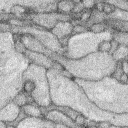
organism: Rabbit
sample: Retina